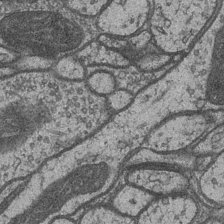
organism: Drosophila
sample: Optic medulla